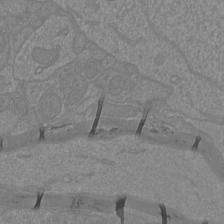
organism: Mouse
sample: Cortical neurons